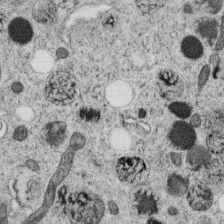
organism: C. elegans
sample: C. elegans oocyte; sperm cells